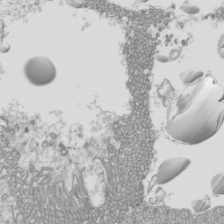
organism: Mouse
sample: Cilia; mouse epididymis